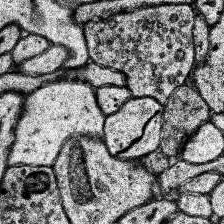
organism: Human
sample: Temporal Lobe